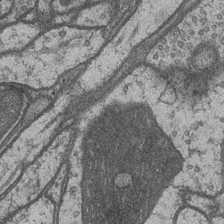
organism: Drosophila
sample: Optic medulla